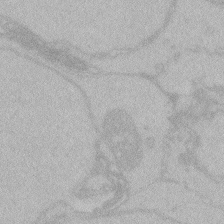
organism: Zebrafish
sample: Macrophage infected with Toxoplasma gondii